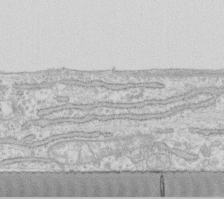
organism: Human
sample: Fibroblast cells